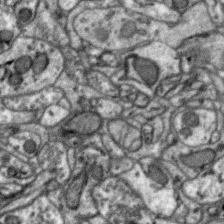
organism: Zebra finch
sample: Brain